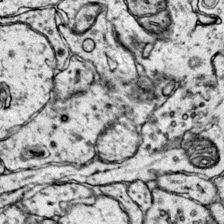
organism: Mouse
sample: Primary visual cortex